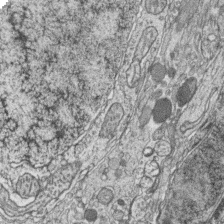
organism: Zebrafish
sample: synaptic ribbons in rod cells and cone cells